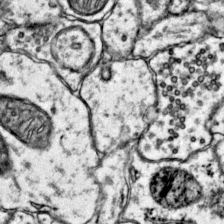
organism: Mouse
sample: Primary visual cortex